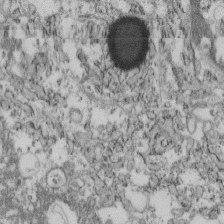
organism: Mouse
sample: Cilia; retinal pigment epithelium